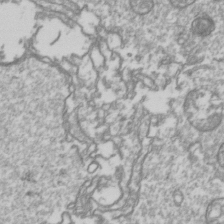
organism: Drosophila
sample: Cell division; meiosis; drosophila spermatocytes